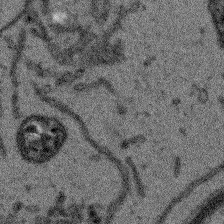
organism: Arabidopsis thaliana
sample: Root tip